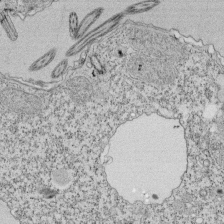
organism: Tetrahymena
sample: Cilia in tetrahymena